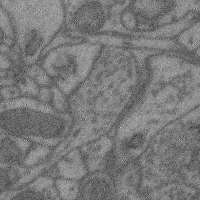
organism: Mouse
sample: Cerebral cortex